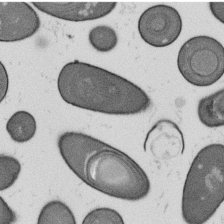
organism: B. subtilis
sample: Bacterial spore